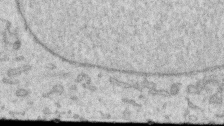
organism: Human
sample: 1205lu cells